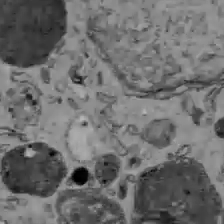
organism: C57BL Mouse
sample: Liver